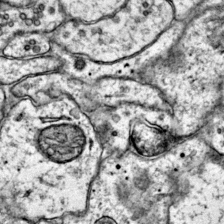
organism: Mouse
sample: Primary visual cortex